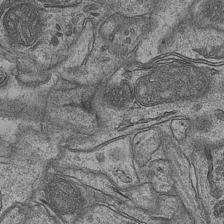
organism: Mouse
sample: CA1 Hippocampus